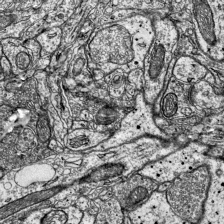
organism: Mouse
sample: Visual Cortex